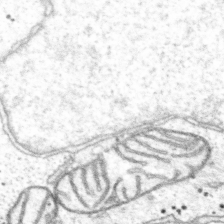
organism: Human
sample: HeLa cells